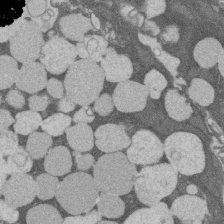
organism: Rat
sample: Salivary granule